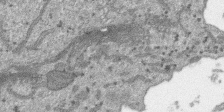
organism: Human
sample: Lung epithelial cells infected with SARS-CoV-2